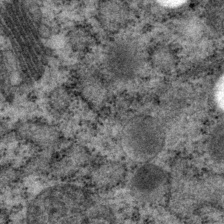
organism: P. pacificus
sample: Pharynx